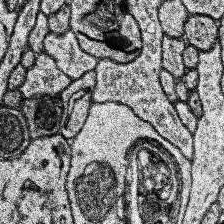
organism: Human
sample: Temporal Lobe